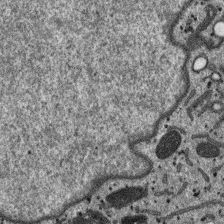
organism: Human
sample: Lung epithelial cells infected with SARS-CoV-2